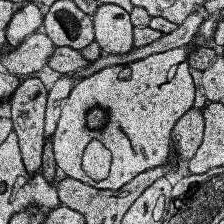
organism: Human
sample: Temporal Lobe